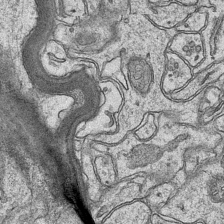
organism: Mouse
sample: CA1 Hippocampus